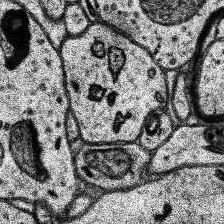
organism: Human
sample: Temporal Lobe